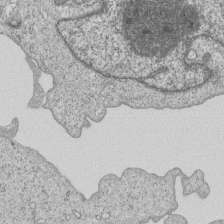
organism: Human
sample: MDA-MB-231 cells